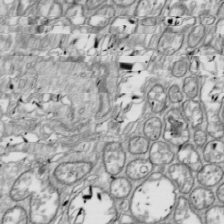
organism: Drosophila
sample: Cell division; meiosis; drosophila spermatocytes